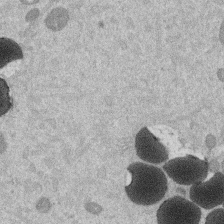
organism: Mouse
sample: Dividing mouse embryo 1 cell stage